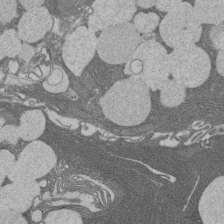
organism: Rat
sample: Salivary granule